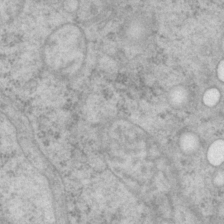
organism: P. pacificus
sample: Pharynx